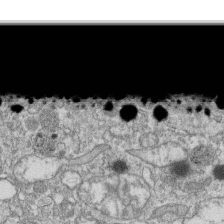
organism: Human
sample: HeLa cell HIV synapse